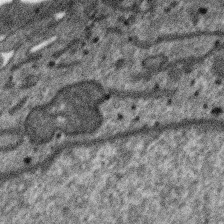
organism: Human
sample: Lung epithelial cells infected with SARS-CoV-2